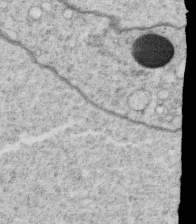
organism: C. elegans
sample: C. elegans oocyte; sperm cells